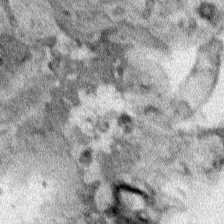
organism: Human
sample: Mitochondria in HCT116 cells